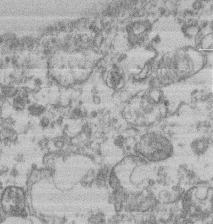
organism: Mouse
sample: T cell stromal cell synapse